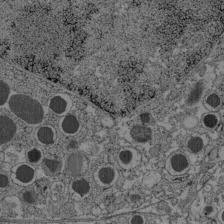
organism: C57BL Mouse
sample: Pancreatic islet